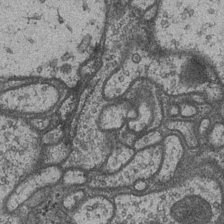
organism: Drosophila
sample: Optic medulla